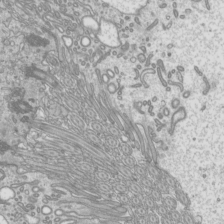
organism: Mouse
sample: Cilia; mouse epididymis